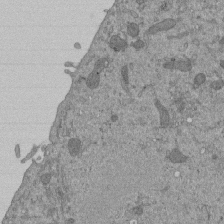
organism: Mouse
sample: ED-1 cell nuclei; centrioles